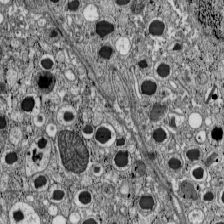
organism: C57BL Mouse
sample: Pancreatic islet